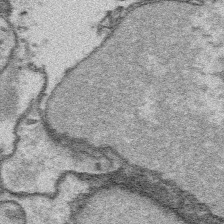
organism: Platynereis dumerilii